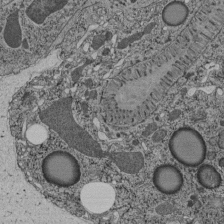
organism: C. elegans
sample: C. elegans pharynx